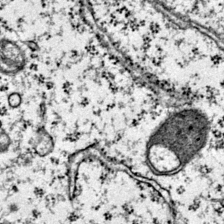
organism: Mouse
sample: Primary visual cortex